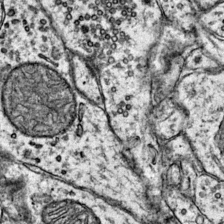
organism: Mouse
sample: Primary visual cortex